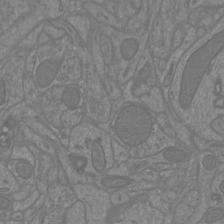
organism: Mouse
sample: Cortical neurons